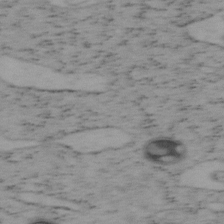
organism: Mouse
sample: OT-I killer T cells with ID8 ovarian cancer cells